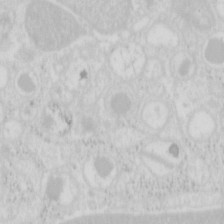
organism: Mouse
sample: Pancreas